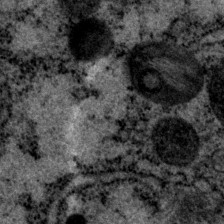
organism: P. pacificus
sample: Pharynx